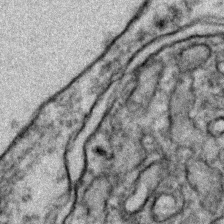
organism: Zebrafish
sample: Zebrafish embryo